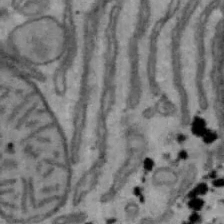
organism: Mouse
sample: Liver